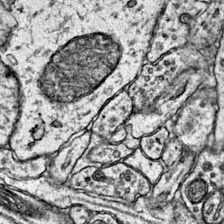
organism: Mouse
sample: Primary visual cortex